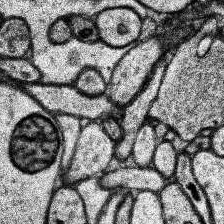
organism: Human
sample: Temporal Lobe